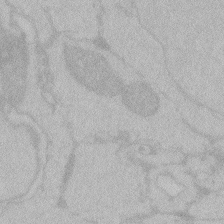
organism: Zebrafish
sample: Macrophage infected with Toxoplasma gondii